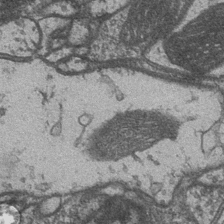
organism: Drosophila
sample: Optic medulla